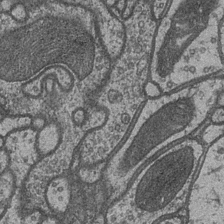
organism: Drosophila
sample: Optic medulla